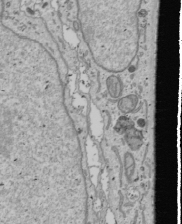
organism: Human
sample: Mitochondria in U2OS cells